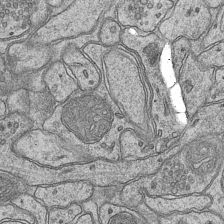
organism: Mouse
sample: CA1 Hippocampus